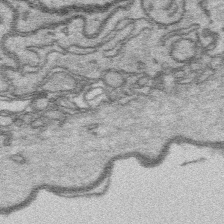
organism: Platynereis dumerilii